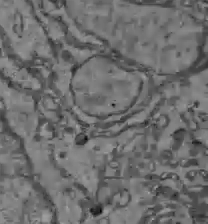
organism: C57BL Mouse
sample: Liver